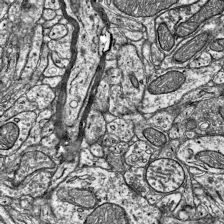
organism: Mouse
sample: Visual Cortex